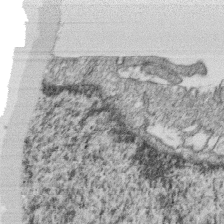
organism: African green monkey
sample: Vero E6 cells infected with SARS-CoV-2